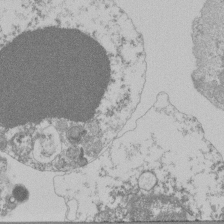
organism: Mouse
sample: Activated Pmel transgenic CD8+ T Cells